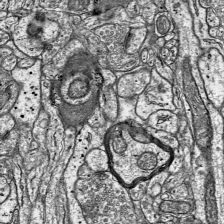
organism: Mouse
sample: Visual Cortex